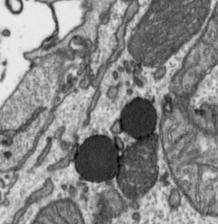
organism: Toxoplasma gondii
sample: Parasites in a vacuole inside a host cell